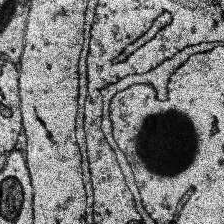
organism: Human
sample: Temporal Lobe